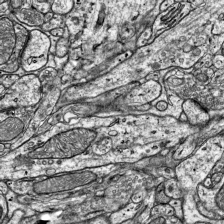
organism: Mouse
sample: Visual Cortex